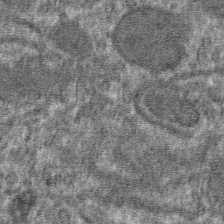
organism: Mouse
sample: Mouse hepatocytes